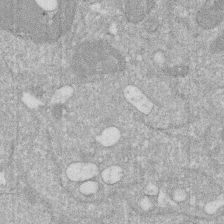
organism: Human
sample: HIV infected U937 cells